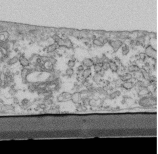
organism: Mouse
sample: Cilia; retinal pigment epithelium